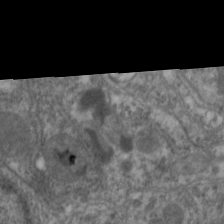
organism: C. elegans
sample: Pharynx